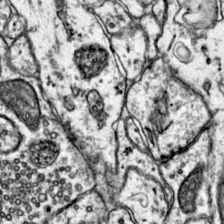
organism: Mouse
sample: Primary visual cortex